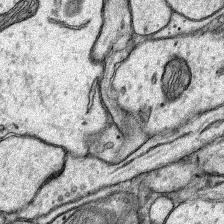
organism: Rat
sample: Hippocampus